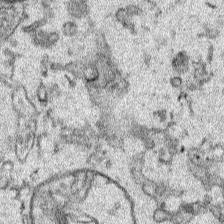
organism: Human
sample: Mitochondria in HCT116 cells